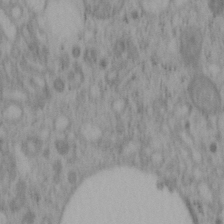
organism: Mouse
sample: OT-I killer T cells with ID8 ovarian cancer cells